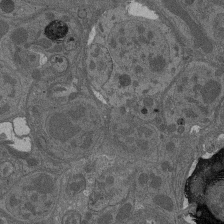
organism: Drosophila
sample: Antenna